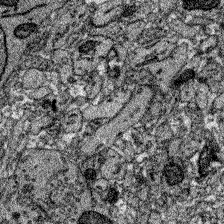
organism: Zebrafish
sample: Larval olfactory bulb